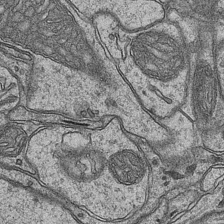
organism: Mouse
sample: CA1 Hippocampus